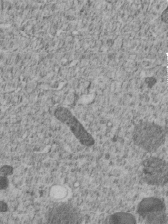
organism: C. elegans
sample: C. elegans embryo early stage